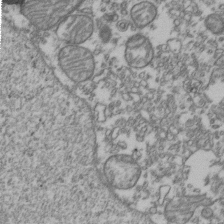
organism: Human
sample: Activated Jurkat CD4+ T cells